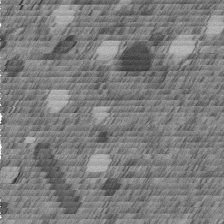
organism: C. elegans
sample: C. elegans embryo early stage